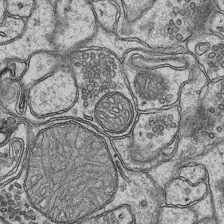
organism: Mouse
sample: CA1 Hippocampus